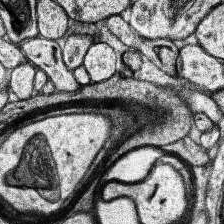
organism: Human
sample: Temporal Lobe